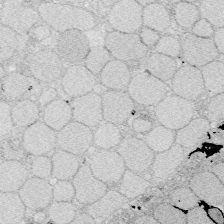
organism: Zebrafish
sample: Whole-Brain